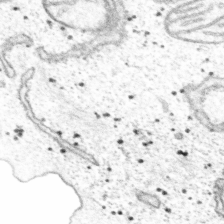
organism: Human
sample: HeLa cells